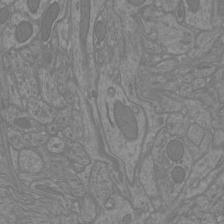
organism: Mouse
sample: Cortical neurons